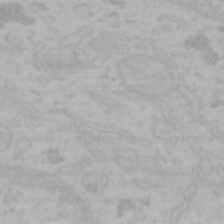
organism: Mouse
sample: Choroid plexus